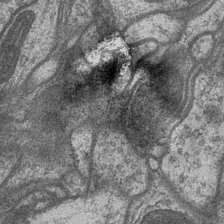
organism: Drosophila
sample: Optic medulla